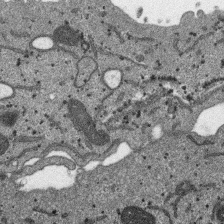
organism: Human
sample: Lung epithelial cells infected with SARS-CoV-2